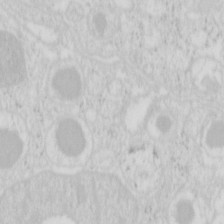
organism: Mouse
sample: Pancreas